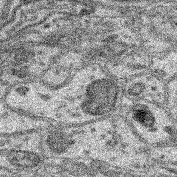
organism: Mouse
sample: Retina